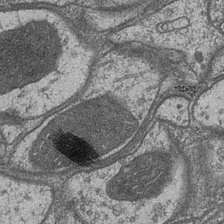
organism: Drosophila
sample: Optic medulla